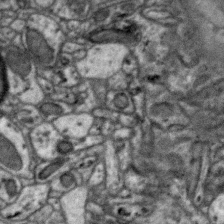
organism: Zebra finch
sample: Brain